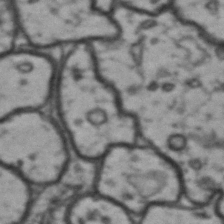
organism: Drosophila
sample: Brain